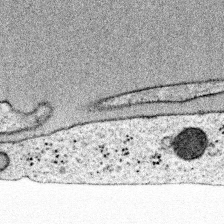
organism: Human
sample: HeLa cells